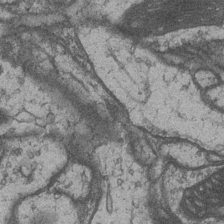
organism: Drosophila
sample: Optic medulla